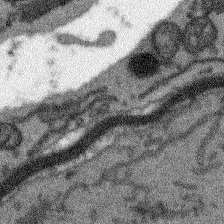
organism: Arabidopsis thaliana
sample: Root tip